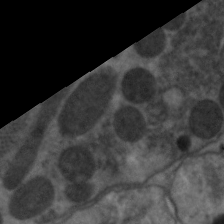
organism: C. elegans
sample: Pharynx